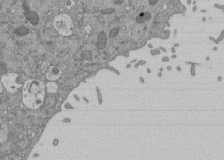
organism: Mouse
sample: ED-1 cell nuclei; centrioles